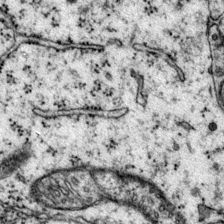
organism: Mouse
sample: Primary visual cortex